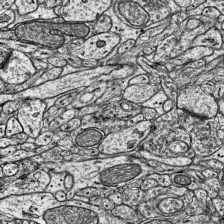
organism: Mouse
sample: Visual Cortex